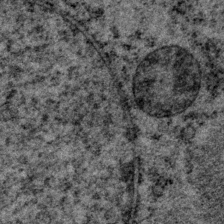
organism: P. pacificus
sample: Pharynx